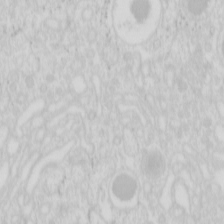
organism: Mouse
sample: Pancreas